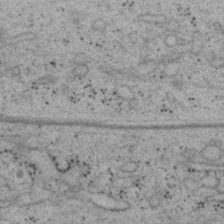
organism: Human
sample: HeLa cells